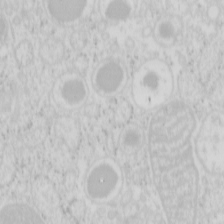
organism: Mouse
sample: Pancreas